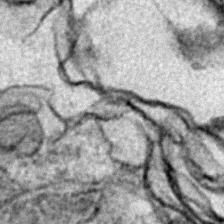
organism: Zebrafish